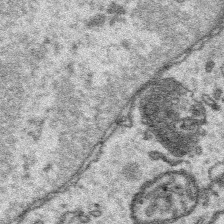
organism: Platynereis dumerilii